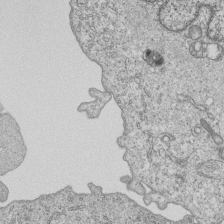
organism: Human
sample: MDA-MB-231 cells